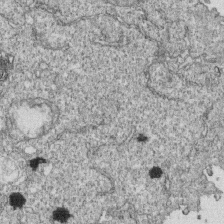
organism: Human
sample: HeLa cell HIV synapse